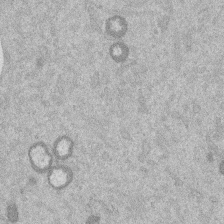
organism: Mouse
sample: Dividing mouse embryo 1 cell stage